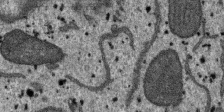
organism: Human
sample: Lung epithelial cells, uninfected (mock) control